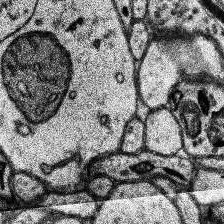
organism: Human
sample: Temporal Lobe